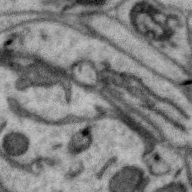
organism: Zebra finch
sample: Brain